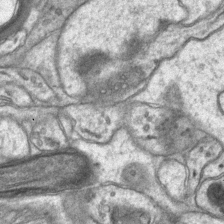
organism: Mouse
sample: CA1 Hippocampus